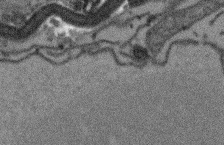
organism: Arabidopsis thaliana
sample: Root tip